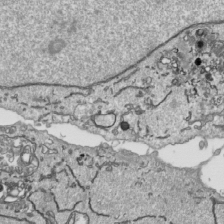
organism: Human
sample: Mitochondria in HCT116 cells